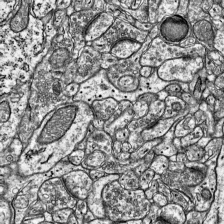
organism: Mouse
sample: Visual Cortex